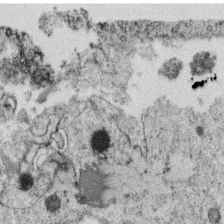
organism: C. elegans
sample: C. elegans oocyte; sperm cells